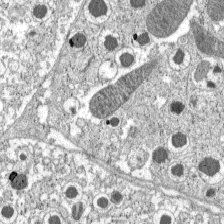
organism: C57BL Mouse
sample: Pancreatic islet